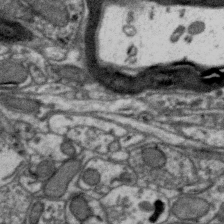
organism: Zebra finch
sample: Brain